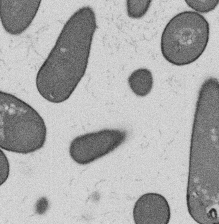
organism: B. subtilis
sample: Bacterial spore